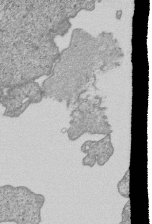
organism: Human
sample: MDA-MB-231 cells